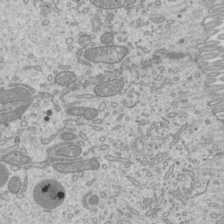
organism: Mouse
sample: Cilia; mouse epididymis